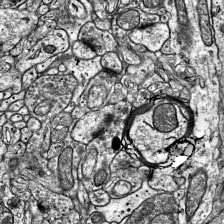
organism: Mouse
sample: Visual Cortex